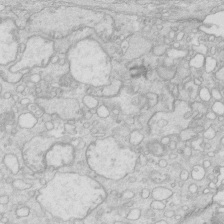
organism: Mouse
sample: Multiciliated cells